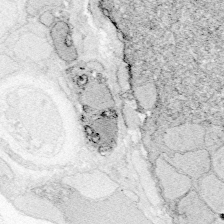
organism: Zebrafish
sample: Whole-Brain